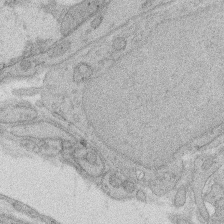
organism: Rat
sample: Salivary granule